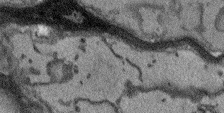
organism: Arabidopsis thaliana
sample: Root tip